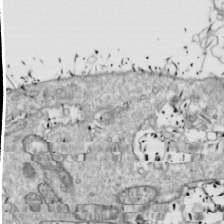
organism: Drosophila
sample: Cell division; meiosis; drosophila spermatocytes